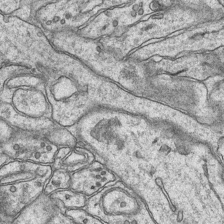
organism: Mouse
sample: CA1 Hippocampus